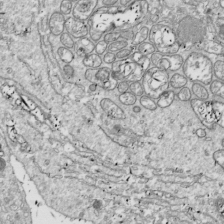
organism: Drosophila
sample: Cell division; meiosis; drosophila spermatocytes